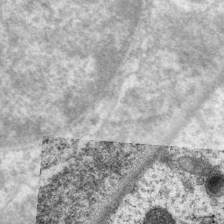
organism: P. pacificus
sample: Pharynx